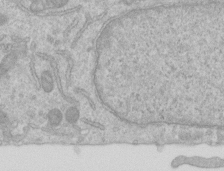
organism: Human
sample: Centriole in RPE cells